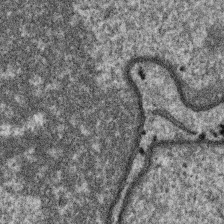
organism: Human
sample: Lung epithelial cells infected with SARS-CoV-2